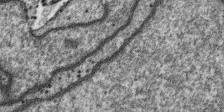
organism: Human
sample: Lung epithelial cells infected with SARS-CoV-2